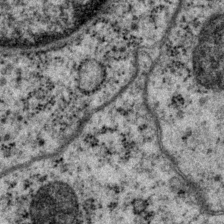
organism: P. pacificus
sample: Pharynx